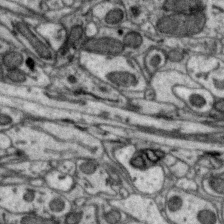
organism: Zebra finch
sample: Brain